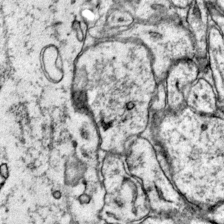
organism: Mouse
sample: Primary visual cortex